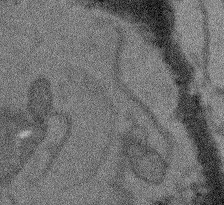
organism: Arabidopsis thaliana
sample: Root tip